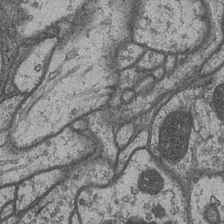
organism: Drosophila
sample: Optic medulla